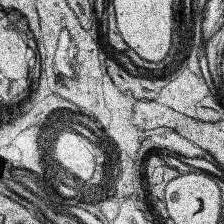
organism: Human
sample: Temporal Lobe